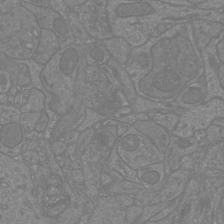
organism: Mouse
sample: Cortical neurons